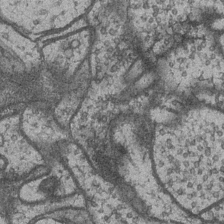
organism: Drosophila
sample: Optic medulla